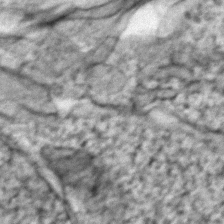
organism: Zebrafish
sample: Zebrafish embryo